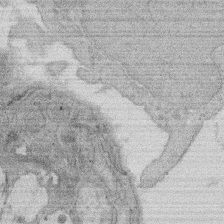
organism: Rat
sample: Salivary granule